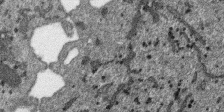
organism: Human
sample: Lung epithelial cells infected with SARS-CoV-2